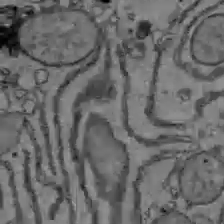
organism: C57BL Mouse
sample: Liver